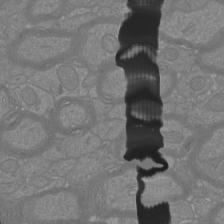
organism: Mouse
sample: Cortical neurons